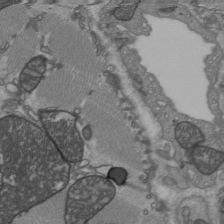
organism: C57BL Mouse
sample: Heart